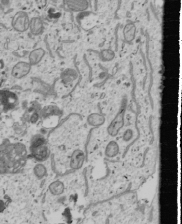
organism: Human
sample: Mitochondria in U2OS cells